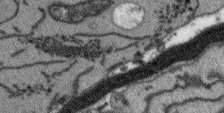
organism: Arabidopsis thaliana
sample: Root tip